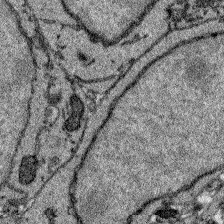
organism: Zebrafish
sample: Larval olfactory bulb